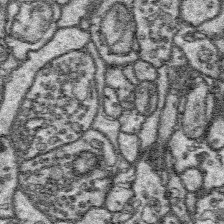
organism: Platynereis dumerilii